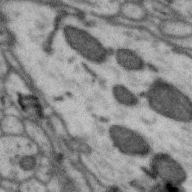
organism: Zebra finch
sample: Brain